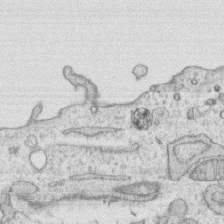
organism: Human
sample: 1205lu cells